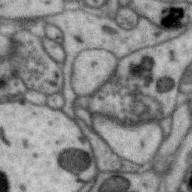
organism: Zebra finch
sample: Brain